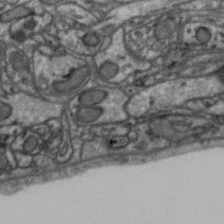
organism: Zebra finch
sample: Brain